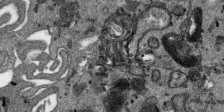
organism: Human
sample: Lung epithelial cells, uninfected (mock) control